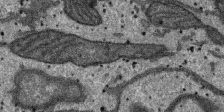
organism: Human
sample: Lung epithelial cells, uninfected (mock) control